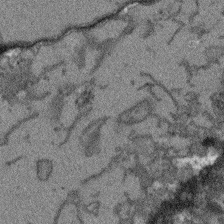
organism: Arabidopsis thaliana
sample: Root tip